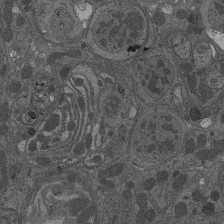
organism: Drosophila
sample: Antenna